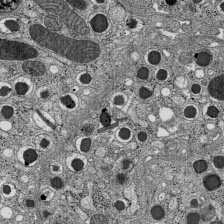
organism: C57BL Mouse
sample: Pancreatic islet